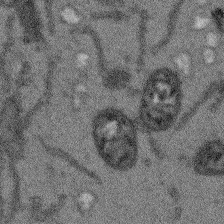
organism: Arabidopsis thaliana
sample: Root tip